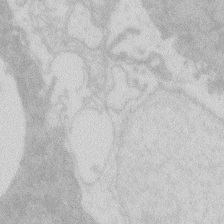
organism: Zebrafish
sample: Macrophage